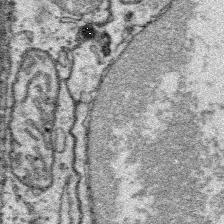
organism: Platynereis dumerilii